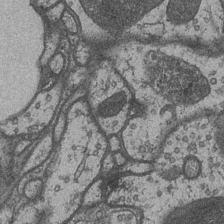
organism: Drosophila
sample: Optic medulla